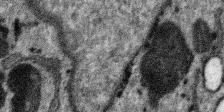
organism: Human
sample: Lung epithelial cells infected with SARS-CoV-2